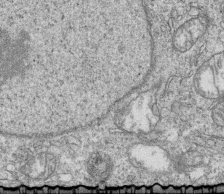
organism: Human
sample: HeLa cell HIV synapse